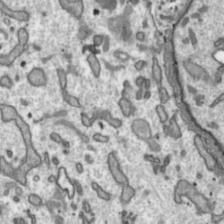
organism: Toxoplasma gondii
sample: Parasites in a vacuole inside a host cell